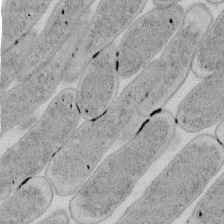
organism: E. coli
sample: Bacterial nucleoid